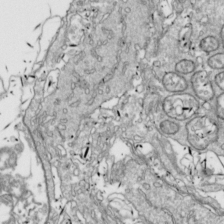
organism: Drosophila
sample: Cell division; meiosis; drosophila spermatocytes